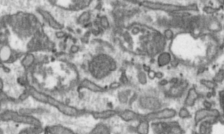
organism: Toxoplasma gondii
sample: Parasites in a vacuole inside a host cell